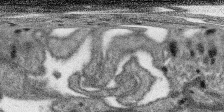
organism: Human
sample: Lung epithelial cells infected with SARS-CoV-2